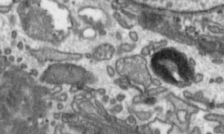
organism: Toxoplasma gondii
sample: Parasites in a vacuole inside a host cell